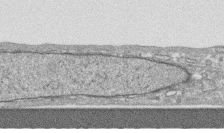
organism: Human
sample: CRL-1474